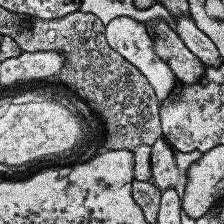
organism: Human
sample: Temporal Lobe